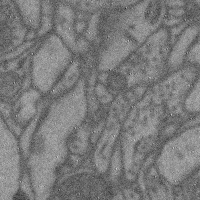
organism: Mouse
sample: Cerebral cortex